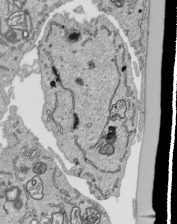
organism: Human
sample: Mitochondria in HCT116 cells